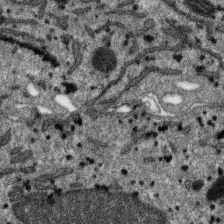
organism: Human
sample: Lung epithelial cells infected with SARS-CoV-2